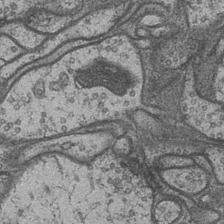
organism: Drosophila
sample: Optic medulla